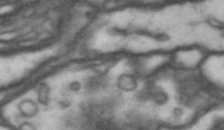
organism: Drosophila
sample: Brain